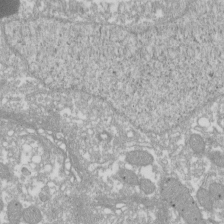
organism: Xenopus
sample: Cilia; centrioles in frog embryo cells